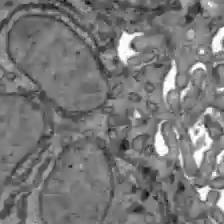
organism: C57BL Mouse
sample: Liver